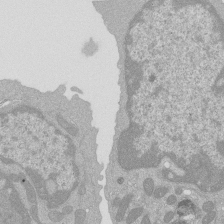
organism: Mouse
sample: Activated Pmel transgenic CD8+ T Cells